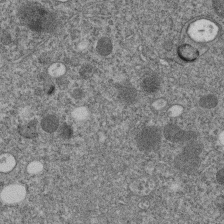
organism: C. elegans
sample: C. elegans embryo early stage